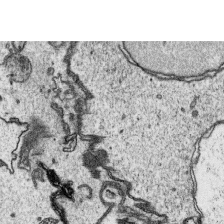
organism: Platynereis dumerilii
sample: Parapodia